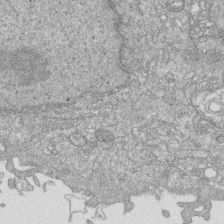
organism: Human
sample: HeLa cell HIV synapse